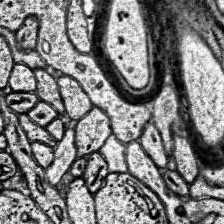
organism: Human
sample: Temporal Lobe